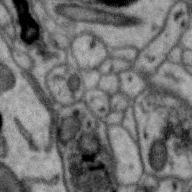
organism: Zebra finch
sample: Brain